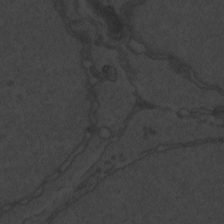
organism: Zebrafish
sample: Macrophage infected with Toxoplasma gondii